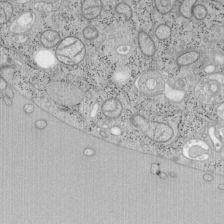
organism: Mouse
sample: OT-I killer T cells with ID8 ovarian cancer cells